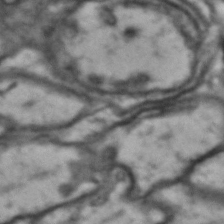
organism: Drosophila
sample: Brain